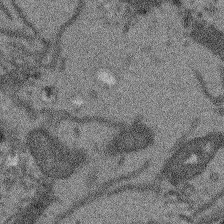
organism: Arabidopsis thaliana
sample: Root tip